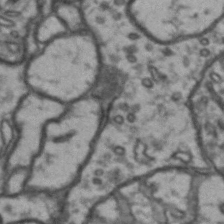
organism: Drosophila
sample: Brain